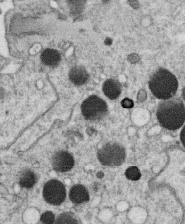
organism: C. elegans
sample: C. elegans oocyte; sperm cells